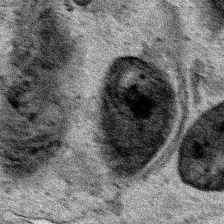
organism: Human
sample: Mitochondria in HCT116 cells